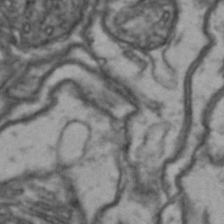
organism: Drosophila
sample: Brain